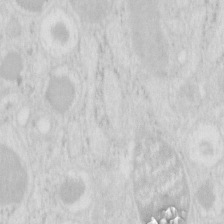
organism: Mouse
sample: Pancreas